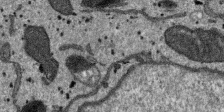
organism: Human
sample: Lung epithelial cells, uninfected (mock) control